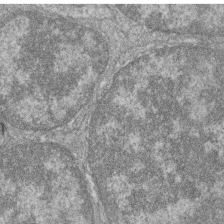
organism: Zebrafish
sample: Cilia; retinal pigment epithelium